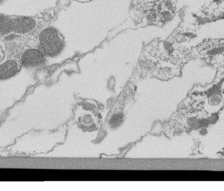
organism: Tetrahymena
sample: Cilia in tetrahymena